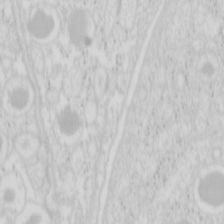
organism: Mouse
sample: Pancreas